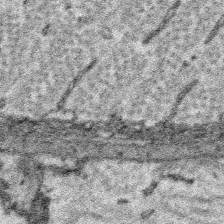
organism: Platynereis dumerilii